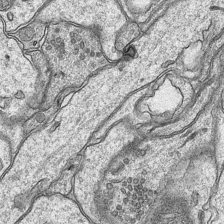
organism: Mouse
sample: CA1 Hippocampus